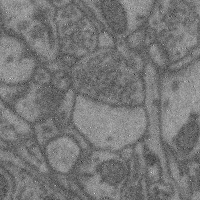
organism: Mouse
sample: Cerebral cortex